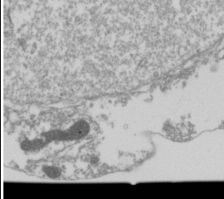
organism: Drosophila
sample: Cell division; meiosis; drosophila spermatocytes